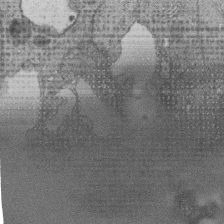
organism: Human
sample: Retinal organoid Rod and Cone cells